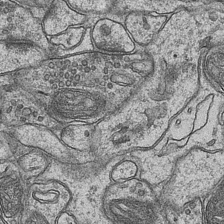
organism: Mouse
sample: CA1 Hippocampus